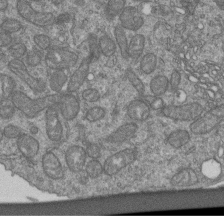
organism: Human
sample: Retinal organoid Rod and Cone cells